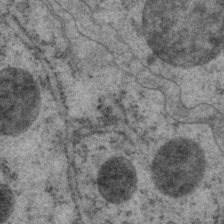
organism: P. pacificus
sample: Pharynx